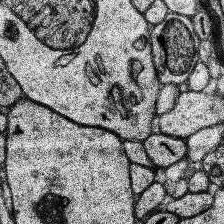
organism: Human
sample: Temporal Lobe